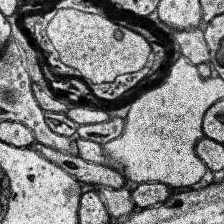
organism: Human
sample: Temporal Lobe